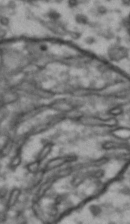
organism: Drosophila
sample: Brain